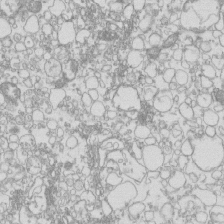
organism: Mouse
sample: Macrophages